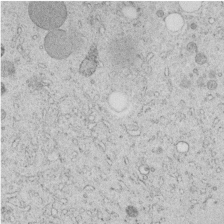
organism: C. elegans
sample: C. elegans embryo early stage